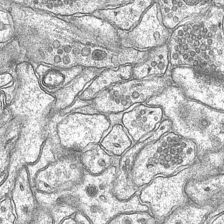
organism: Mouse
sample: CA1 Hippocampus